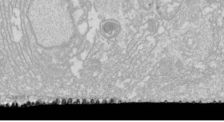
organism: Drosophila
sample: Cell division; meiosis; drosophila spermatocytes